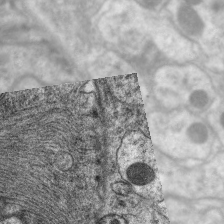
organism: C. elegans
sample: Pharynx